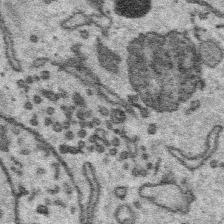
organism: Platynereis dumerilii